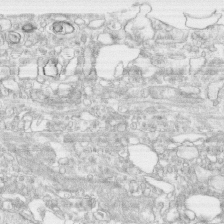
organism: Human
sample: CRL-1474